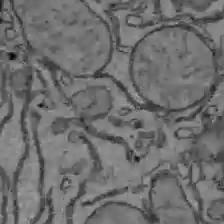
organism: C57BL Mouse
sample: Liver